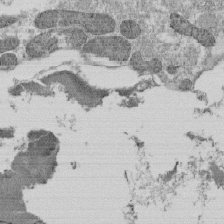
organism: Tetrahymena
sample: Cilia in tetrahymena